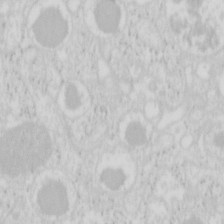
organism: Mouse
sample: Pancreas